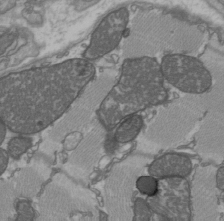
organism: C57BL Mouse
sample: Heart